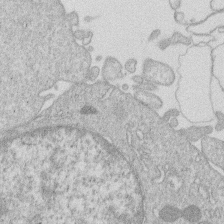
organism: Human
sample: Macrophage cells